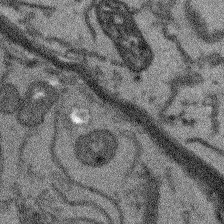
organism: Arabidopsis thaliana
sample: Root tip